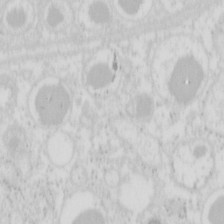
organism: Mouse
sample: Pancreas